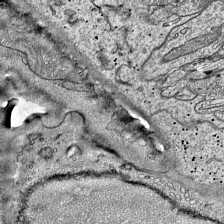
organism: Mouse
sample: Visual Cortex